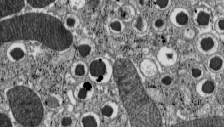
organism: C57BL Mouse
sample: Pancreatic islet